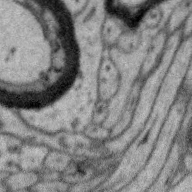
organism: Zebra finch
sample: Brain